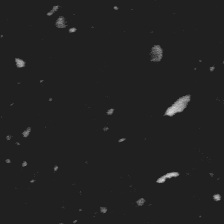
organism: Platynereis dumerilii